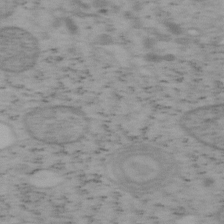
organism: Mouse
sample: OT-I killer T cells with ID8 ovarian cancer cells